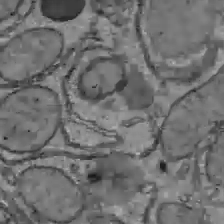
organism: C57BL Mouse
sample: Liver